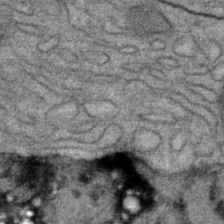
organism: Mouse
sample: Mouse Salivary gland